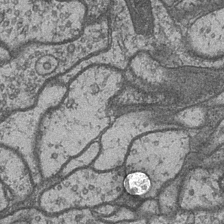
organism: Drosophila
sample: Optic medulla